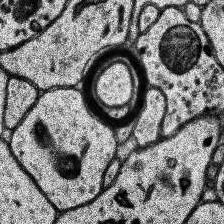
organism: Human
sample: Temporal Lobe